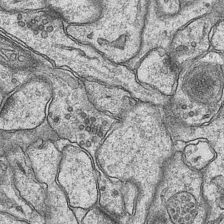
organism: Mouse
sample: CA1 Hippocampus